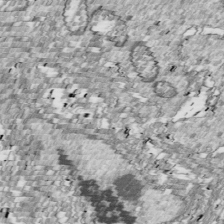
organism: Drosophila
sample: Cell division; meiosis; drosophila spermatocytes